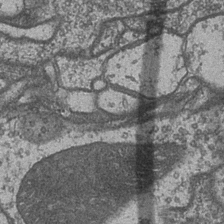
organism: Drosophila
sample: Optic medulla